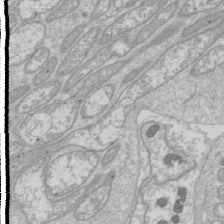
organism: Drosophila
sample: Cell division; meiosis; drosophila spermatocytes